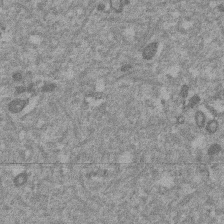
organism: Mouse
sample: Dividing mouse embryo 1 cell stage